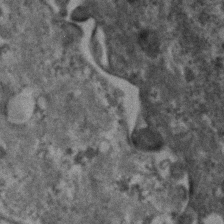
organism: Human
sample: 1205lu cells